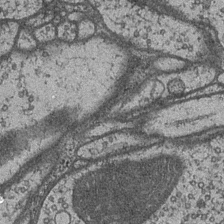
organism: Drosophila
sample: Optic medulla